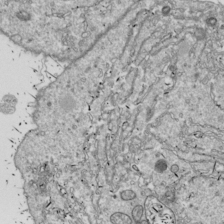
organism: Drosophila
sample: Cell division; meiosis; drosophila spermatocytes